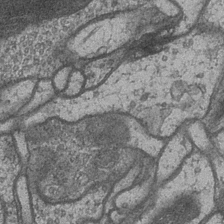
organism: Drosophila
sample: Optic medulla